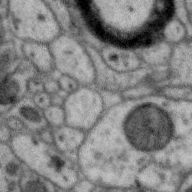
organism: Zebra finch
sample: Brain